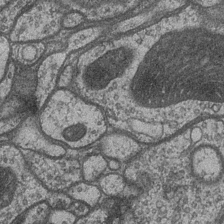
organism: Drosophila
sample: Optic medulla